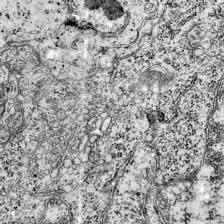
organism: Mouse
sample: Visual Cortex